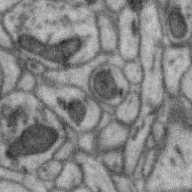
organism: Zebra finch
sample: Brain